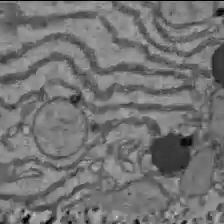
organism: C57BL Mouse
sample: Liver